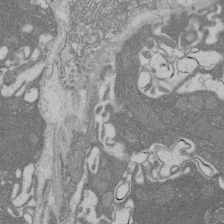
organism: Rat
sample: Salivary granule